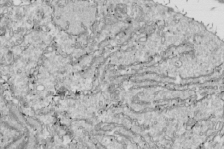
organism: Drosophila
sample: Cell division; meiosis; drosophila spermatocytes